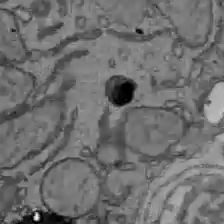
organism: C57BL Mouse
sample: Liver